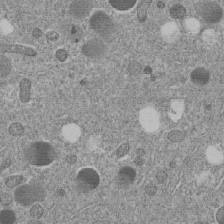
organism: C. elegans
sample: C. elegans embryo early stage